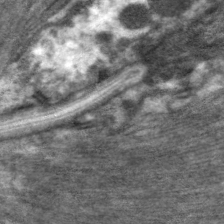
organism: C. elegans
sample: Pharynx